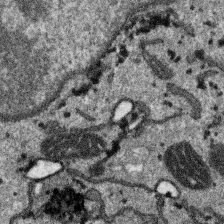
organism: Human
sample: Lung epithelial cells infected with SARS-CoV-2